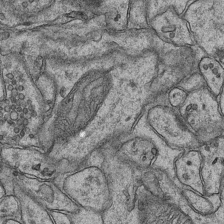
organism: Mouse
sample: CA1 Hippocampus